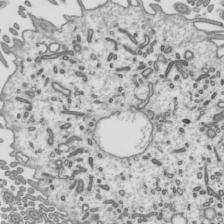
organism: Mouse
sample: Mouse epididymis efferent ductule cilia